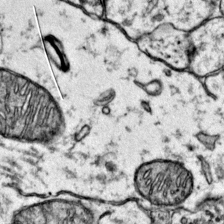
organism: Mouse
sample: Primary visual cortex